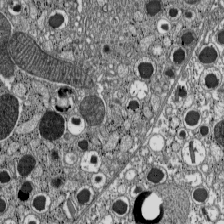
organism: C57BL Mouse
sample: Pancreatic islet